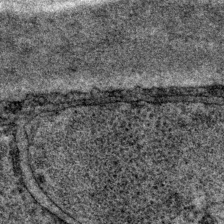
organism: P. pacificus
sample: Pharynx